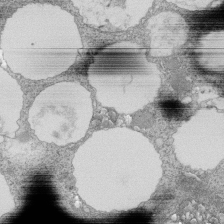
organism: Tetrahymena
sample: Cilia in tetrahymena